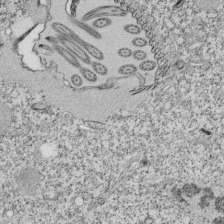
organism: Tetrahymena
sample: Cilia in tetrahymena